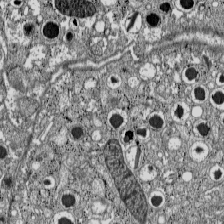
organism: C57BL Mouse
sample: Pancreatic islet